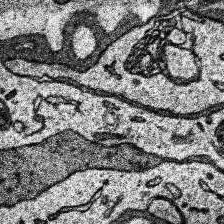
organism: Human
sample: Temporal Lobe